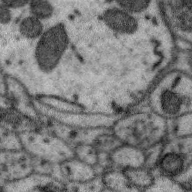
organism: Zebra finch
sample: Brain